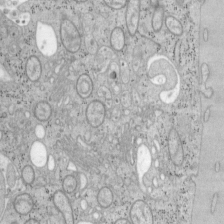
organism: Mouse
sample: OT-I killer T cells with ID8 ovarian cancer cells